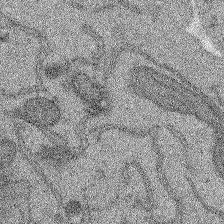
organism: Human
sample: HeLa cells